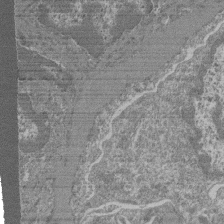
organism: Mouse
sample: Glomerulus